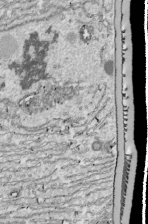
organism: Drosophila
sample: Cell division; meiosis; drosophila spermatocytes